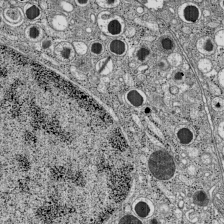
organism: C57BL Mouse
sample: Pancreatic islet